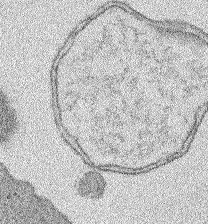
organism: Human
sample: HeLa cells